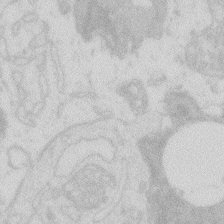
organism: Zebrafish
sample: Macrophage